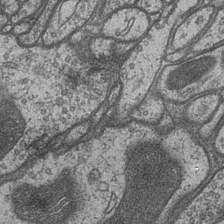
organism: Drosophila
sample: Optic medulla